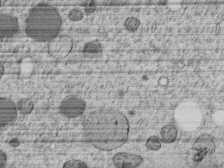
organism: C. elegans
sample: C. elegans embryo early stage